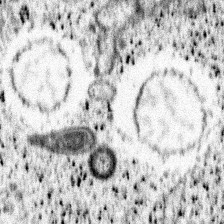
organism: Human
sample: HeLa cells